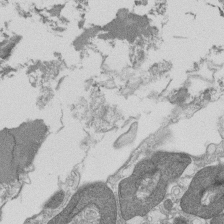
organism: Tetrahymena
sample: Cilia in tetrahymena